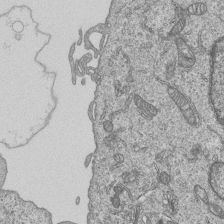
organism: Human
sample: MDA-MB-231 cells